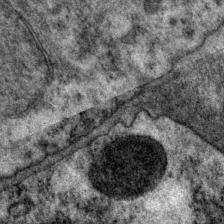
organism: P. pacificus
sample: Pharynx